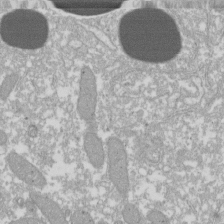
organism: Xenopus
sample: Cilia; centrioles in frog embryo cells